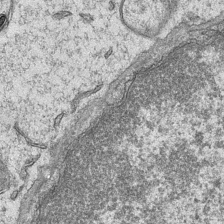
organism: Mouse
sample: CA1 Hippocampus